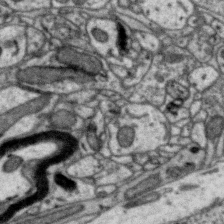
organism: Zebra finch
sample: Brain